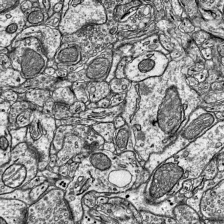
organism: Mouse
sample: Visual Cortex